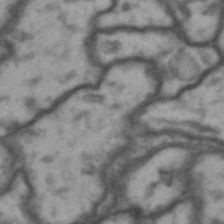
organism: Drosophila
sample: Brain